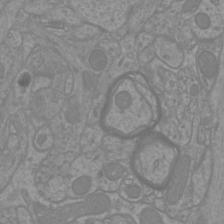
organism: Mouse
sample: Cortical neurons